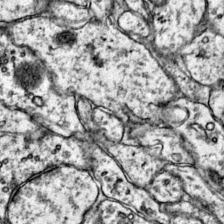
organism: Mouse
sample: Primary visual cortex